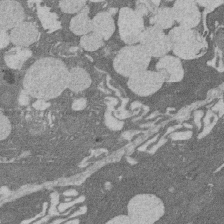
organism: Rat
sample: Salivary granule